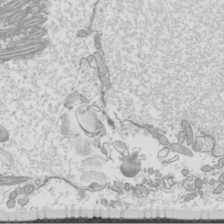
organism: Mouse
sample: Cilia; mouse epididymis